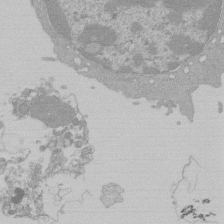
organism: Mouse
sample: Activated Pmel transgenic CD8+ T Cells